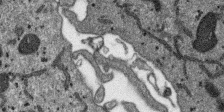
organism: Human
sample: Lung epithelial cells infected with SARS-CoV-2